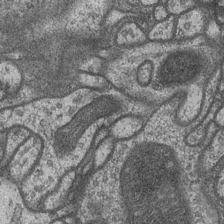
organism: Drosophila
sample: Optic medulla